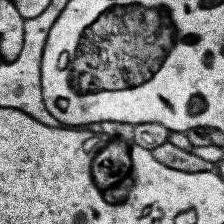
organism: Human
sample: Temporal Lobe